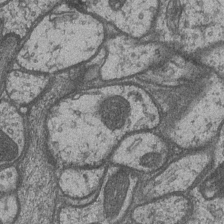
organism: Drosophila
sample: Optic medulla